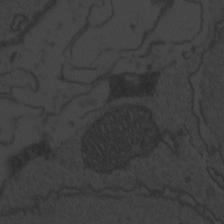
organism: Zebrafish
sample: Macrophage infected with Toxoplasma gondii